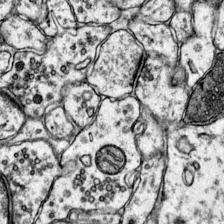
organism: Mouse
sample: Primary visual cortex